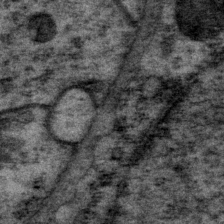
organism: P. pacificus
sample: Pharynx